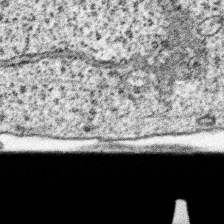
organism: Human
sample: HeLa cells